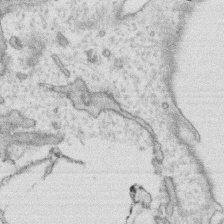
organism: Human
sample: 1205lu cells